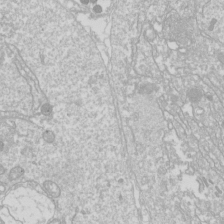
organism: Drosophila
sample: Cell division; meiosis; drosophila spermatocytes